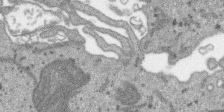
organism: Human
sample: Lung epithelial cells infected with SARS-CoV-2